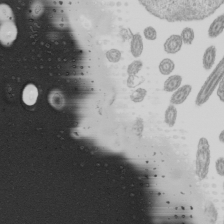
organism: Mouse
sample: Cilia; mouse epididymis